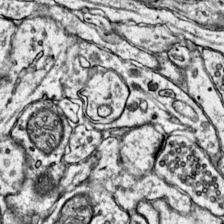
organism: Mouse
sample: Primary visual cortex